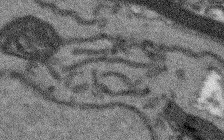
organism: Arabidopsis thaliana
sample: Root tip